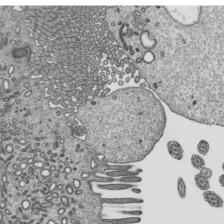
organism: Mouse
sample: Mouse epididymis efferent ductule cilia